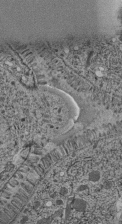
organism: C. elegans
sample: C. elegans pharynx